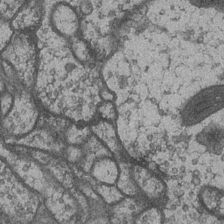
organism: Drosophila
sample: Optic medulla